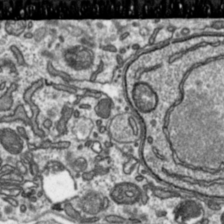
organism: Toxoplasma gondii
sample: Parasites in a vacuole inside a host cell